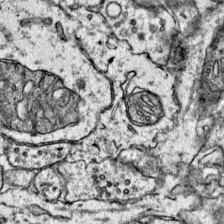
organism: Mouse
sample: Primary visual cortex